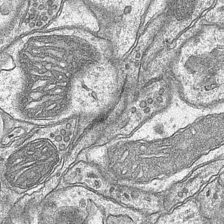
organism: Mouse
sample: CA1 Hippocampus